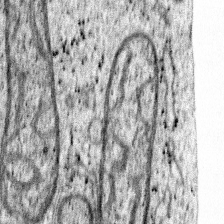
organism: Human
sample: HeLa cells